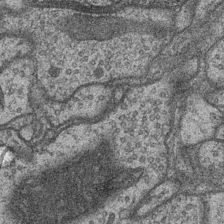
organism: Drosophila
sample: Optic medulla